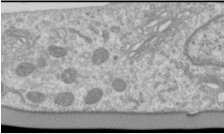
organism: Human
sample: Cilia; basal body in RPE cells